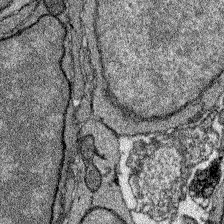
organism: Zebrafish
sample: Larval olfactory bulb